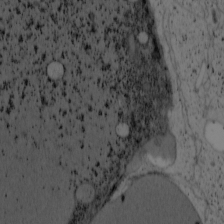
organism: African green monkey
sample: COS-7 cells